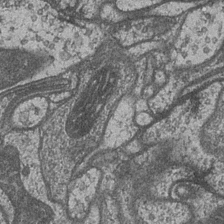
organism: Drosophila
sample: Optic medulla